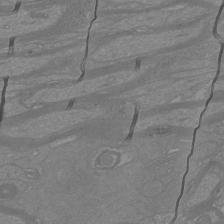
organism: Mouse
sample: Cortical neurons